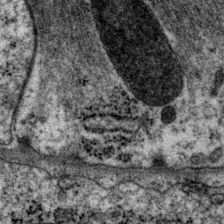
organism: P. pacificus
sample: Pharynx